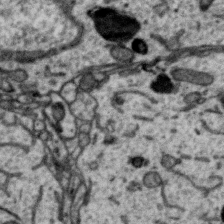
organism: Zebra finch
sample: Brain